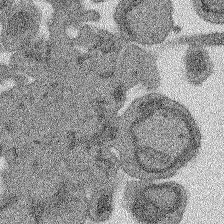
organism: Human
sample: HeLa cells